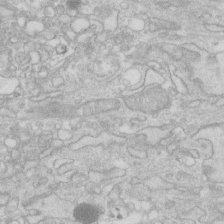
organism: Human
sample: Fibroblast cells